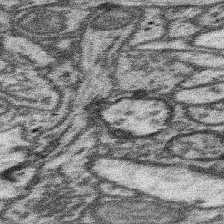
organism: Mouse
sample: Somatosensory cortex neuropil